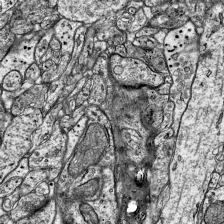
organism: Mouse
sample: Visual Cortex